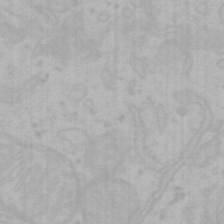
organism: Mouse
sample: Choroid plexus